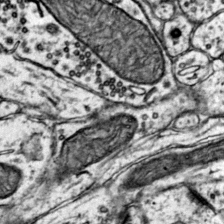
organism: Mouse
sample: Primary visual cortex